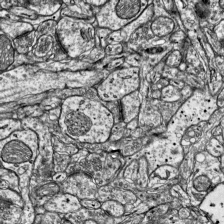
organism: Mouse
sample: Visual Cortex